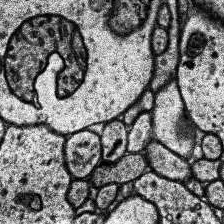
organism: Human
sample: Temporal Lobe